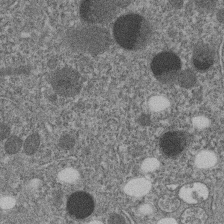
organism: C. elegans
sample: C. elegans embryo early stage